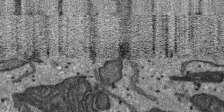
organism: Human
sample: Lung epithelial cells, uninfected (mock) control